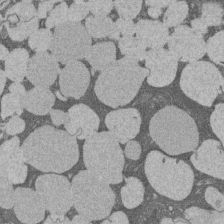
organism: Rat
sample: Salivary granule